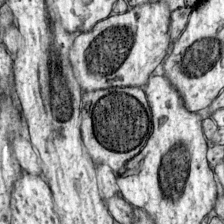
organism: Mouse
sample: Primary visual cortex